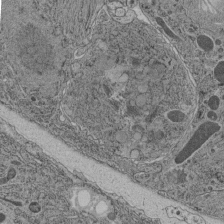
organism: C. elegans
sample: C. elegans pharynx